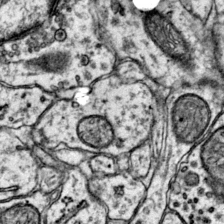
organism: Mouse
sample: Primary visual cortex